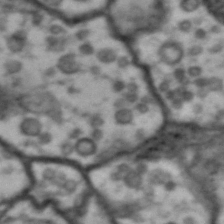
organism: Drosophila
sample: Brain